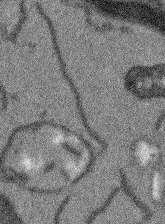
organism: Arabidopsis thaliana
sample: Root tip